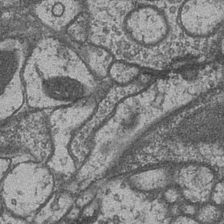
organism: Drosophila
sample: Optic medulla